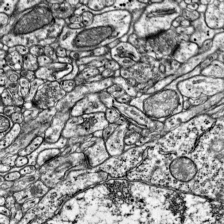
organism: Mouse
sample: Visual Cortex